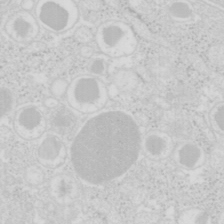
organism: Mouse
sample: Pancreas